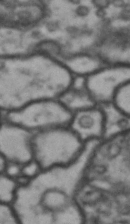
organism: Drosophila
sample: Brain